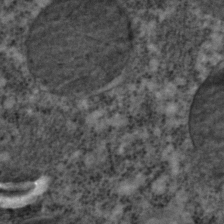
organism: C. elegans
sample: C. elegans embryo